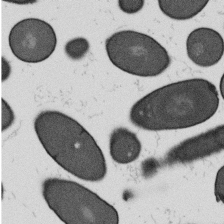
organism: B. subtilis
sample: Bacterial spore